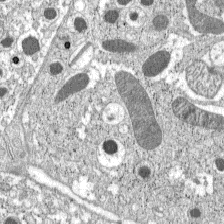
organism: C57BL Mouse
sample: Pancreatic islet